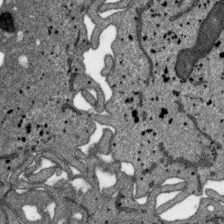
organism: Human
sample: Lung epithelial cells, uninfected (mock) control